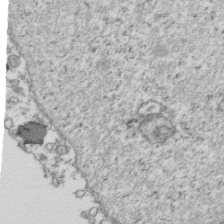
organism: Human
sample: Activated Jurkat CD4+ T cells